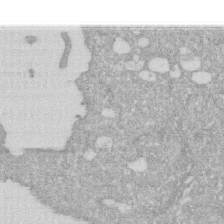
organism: Human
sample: HIV infected U937 cells